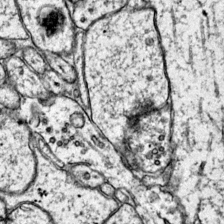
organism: Mouse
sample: Primary visual cortex